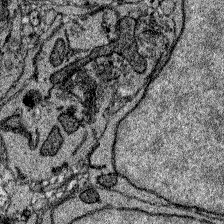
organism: Zebrafish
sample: Larval olfactory bulb